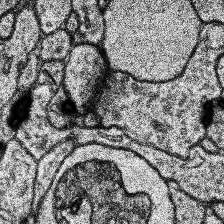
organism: Human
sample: Temporal Lobe